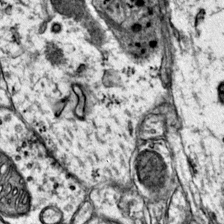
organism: Mouse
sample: Primary visual cortex